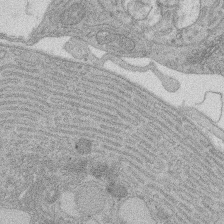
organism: Rat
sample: Salivary granule